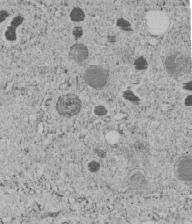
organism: C. elegans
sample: C. elegans embryo early stage